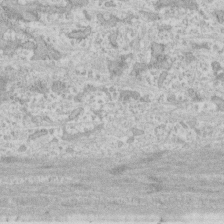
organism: Human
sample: CRL-1474